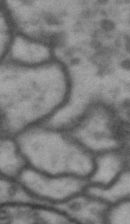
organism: Drosophila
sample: Brain